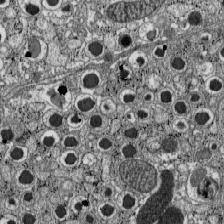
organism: C57BL Mouse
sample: Pancreatic islet